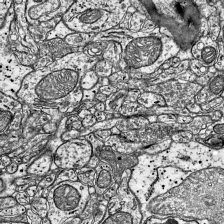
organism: Mouse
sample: Visual Cortex